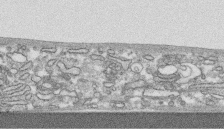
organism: Human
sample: CRL-1474